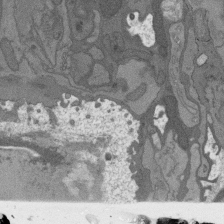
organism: C. elegans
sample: AFD neurons C. elegans